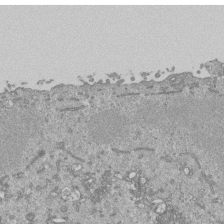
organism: Mouse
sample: ED-1 cell nuclei; centrioles